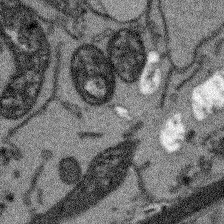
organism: Arabidopsis thaliana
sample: Root tip